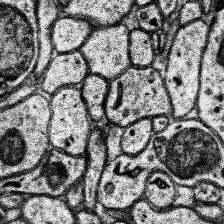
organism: Human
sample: Temporal Lobe